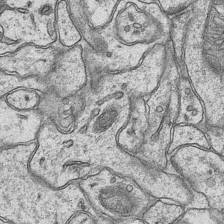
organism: Mouse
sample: CA1 Hippocampus